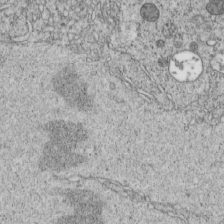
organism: C. elegans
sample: C. elegans embryo early stage